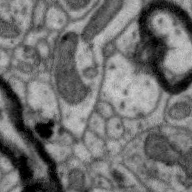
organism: Zebra finch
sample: Brain